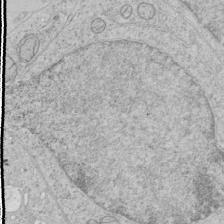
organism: Human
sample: Mitochondria in HCT116 cells